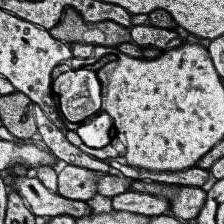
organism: Human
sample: Temporal Lobe